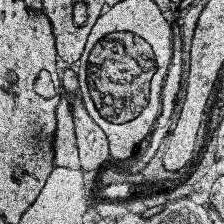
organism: Human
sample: Temporal Lobe